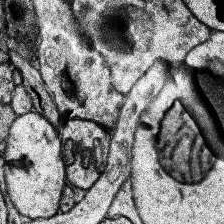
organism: Human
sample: Temporal Lobe